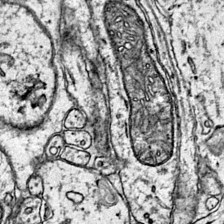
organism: Mouse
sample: Primary visual cortex